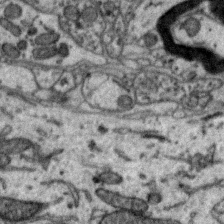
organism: Zebra finch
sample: Brain